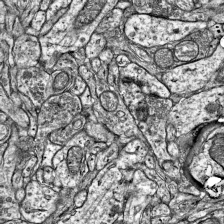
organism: Mouse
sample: Visual Cortex